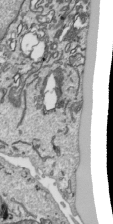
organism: Human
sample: Mitochondria in HCT116 cells